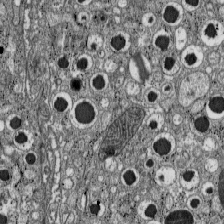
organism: C57BL Mouse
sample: Pancreatic islet